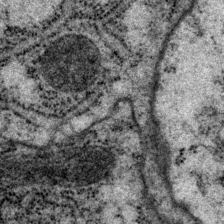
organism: P. pacificus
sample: Pharynx